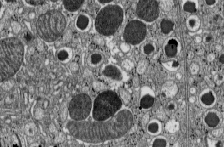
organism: C57BL Mouse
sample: Pancreatic islet